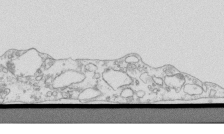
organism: Mouse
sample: Macrophages